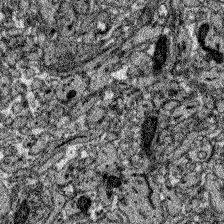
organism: Zebrafish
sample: Larval olfactory bulb